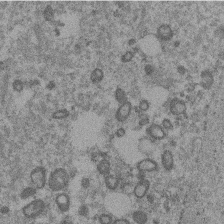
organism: Mouse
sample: Dividing mouse embryo 1 cell stage